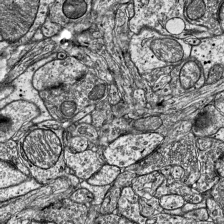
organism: Mouse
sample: Visual Cortex